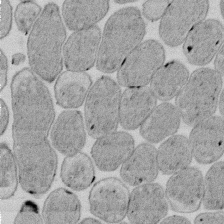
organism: E. coli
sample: Bacterial nucleoid